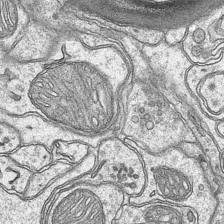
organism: Mouse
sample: CA1 Hippocampus